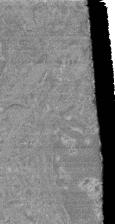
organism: Mouse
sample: Glomerulus